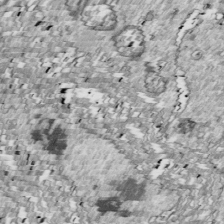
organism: Drosophila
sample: Cell division; meiosis; drosophila spermatocytes